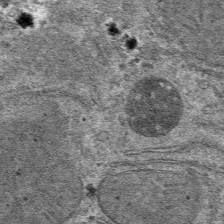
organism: Mouse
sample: Mouse hepatocytes